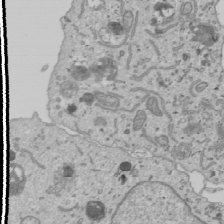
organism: Human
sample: Mitochondria in U2OS cells